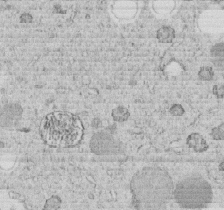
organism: C. elegans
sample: C. elegans embryo early stage